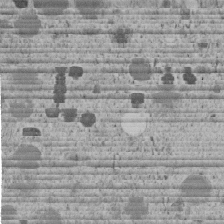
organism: C. elegans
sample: C. elegans embryo early stage